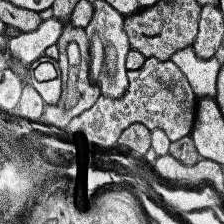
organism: Human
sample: Temporal Lobe